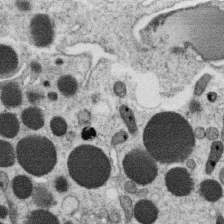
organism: C. elegans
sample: C. elegans oocyte; sperm cells